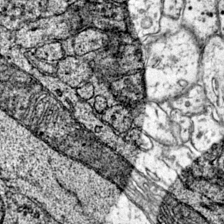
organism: Mouse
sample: Primary visual cortex